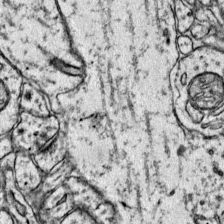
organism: Mouse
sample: Primary visual cortex